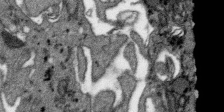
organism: Human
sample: Lung epithelial cells, uninfected (mock) control